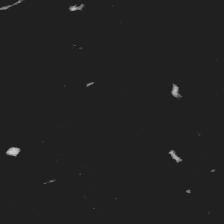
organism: Platynereis dumerilii